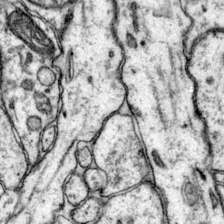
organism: Mouse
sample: Primary visual cortex